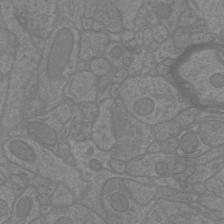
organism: Mouse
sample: Cortical neurons